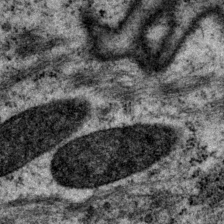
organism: P. pacificus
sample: Pharynx